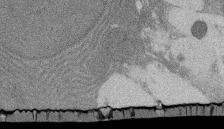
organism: Rat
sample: Salivary granule